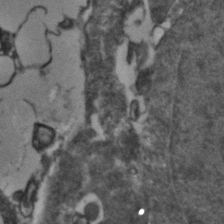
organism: Zebrafish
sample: Zebrafish embryo